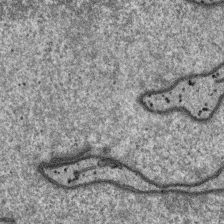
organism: Human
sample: Lung epithelial cells, uninfected (mock) control